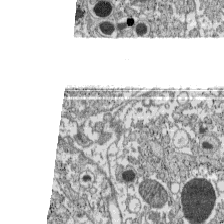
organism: C57BL Mouse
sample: Pancreatic islet